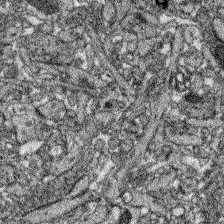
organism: Zebrafish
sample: Larval olfactory bulb